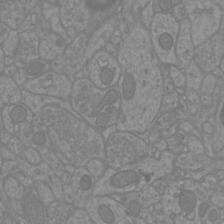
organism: Mouse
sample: Cortical neurons